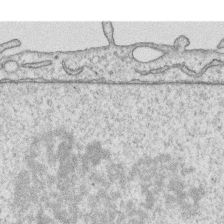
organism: Human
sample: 1205lu cells